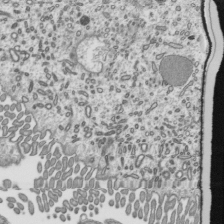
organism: Mouse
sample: Mouse epididymis efferent ductule cilia